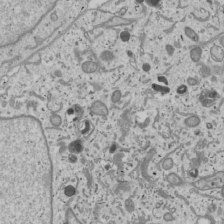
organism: Human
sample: Mitochondria in U2OS cells